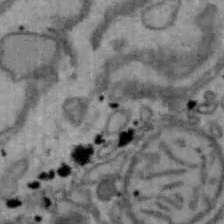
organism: Mouse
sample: Liver